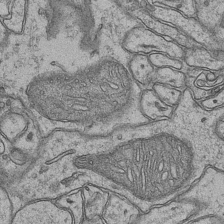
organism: Mouse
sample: CA1 Hippocampus